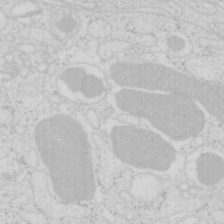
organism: Mouse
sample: Pancreas